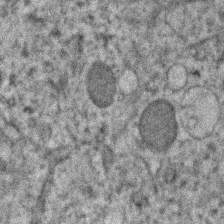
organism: Human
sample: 1205lu cells